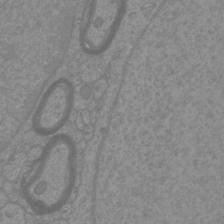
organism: Mouse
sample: Cortical neurons